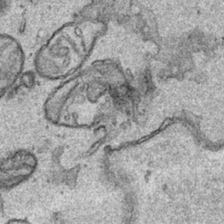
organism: Human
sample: Mitochondria in HCT116 cells